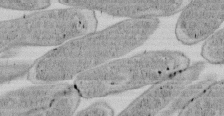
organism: E. coli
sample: Bacterial nucleoid